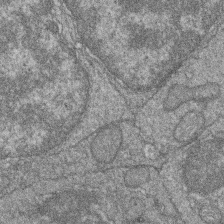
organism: Zebrafish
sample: Cilia; retinal pigment epithelium